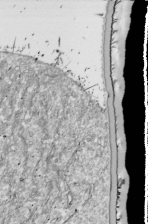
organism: Drosophila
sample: Cell division; meiosis; drosophila spermatocytes